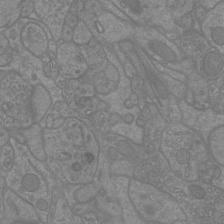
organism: Mouse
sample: Cortical neurons